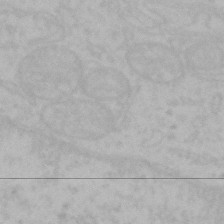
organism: Mouse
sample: Choroid plexus